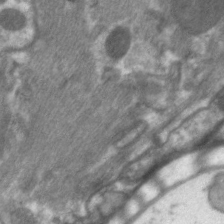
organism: C. elegans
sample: Pharynx